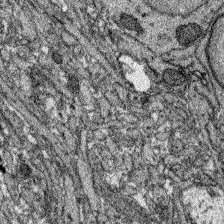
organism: Zebrafish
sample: Larval olfactory bulb